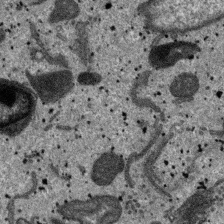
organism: Human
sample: Lung epithelial cells, uninfected (mock) control